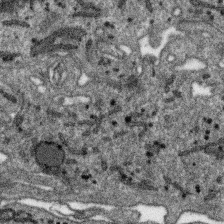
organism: Human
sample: Lung epithelial cells infected with SARS-CoV-2